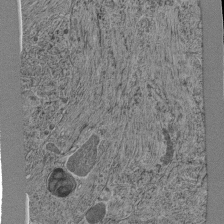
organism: C. elegans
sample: C. elegans pharynx